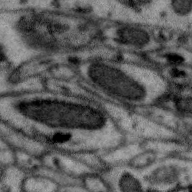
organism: Zebra finch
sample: Brain